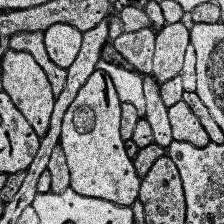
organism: Human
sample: Temporal Lobe